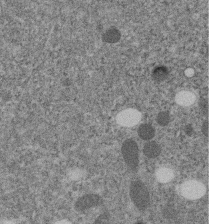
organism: C. elegans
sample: C. elegans embryo early stage